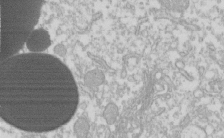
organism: Xenopus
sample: Cilia; centrioles in frog embryo cells